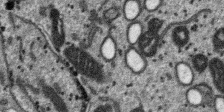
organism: Human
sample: Lung epithelial cells infected with SARS-CoV-2